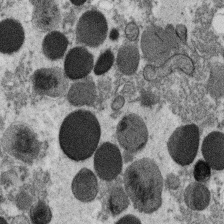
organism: C. elegans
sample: C. elegans oocyte; sperm cells